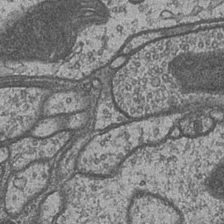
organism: Drosophila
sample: Optic medulla